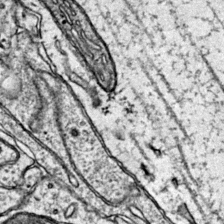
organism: Mouse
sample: Primary visual cortex